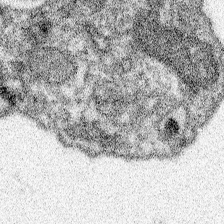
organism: Spongilla lacustris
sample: Neuroid cell